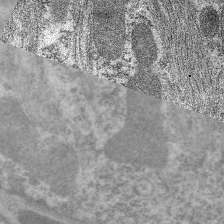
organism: C. elegans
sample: Pharynx